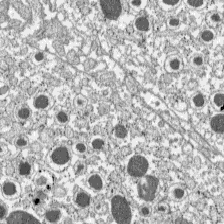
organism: C57BL Mouse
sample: Pancreatic islet